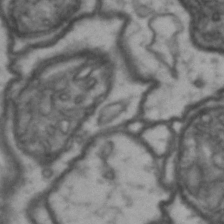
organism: Drosophila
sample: Brain